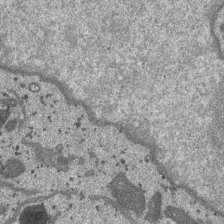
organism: Human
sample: Lung epithelial cells infected with SARS-CoV-2